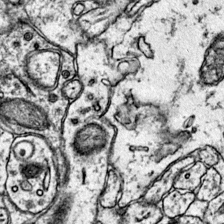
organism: Mouse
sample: Primary visual cortex